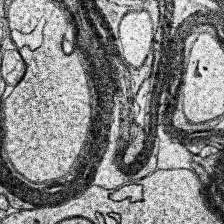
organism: Human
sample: Temporal Lobe